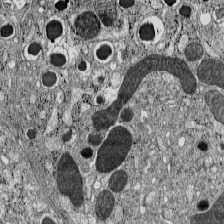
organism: C57BL Mouse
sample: Pancreatic islet